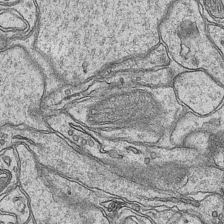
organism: Mouse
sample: CA1 Hippocampus